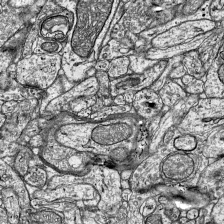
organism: Mouse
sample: Visual Cortex